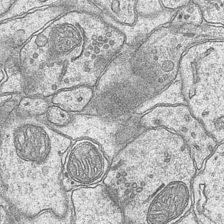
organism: Mouse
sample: CA1 Hippocampus